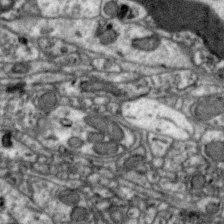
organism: Zebra finch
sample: Brain